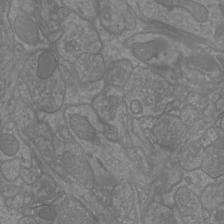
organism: Mouse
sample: Cortical neurons